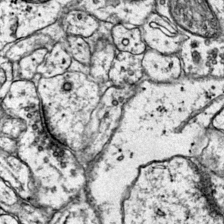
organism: Mouse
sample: Primary visual cortex